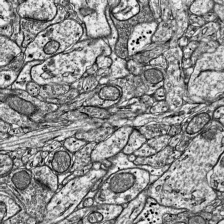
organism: Mouse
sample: Visual Cortex